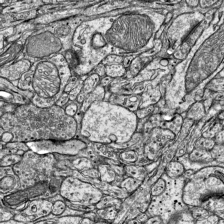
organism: Mouse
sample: Visual Cortex